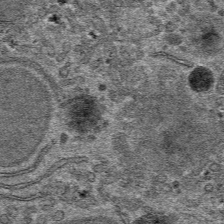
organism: Mouse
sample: Mouse hepatocytes